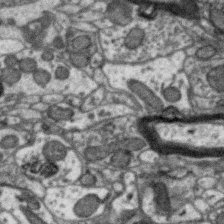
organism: Zebra finch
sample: Brain